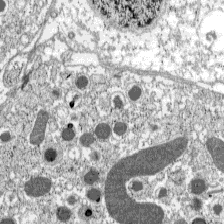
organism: C57BL Mouse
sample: Pancreatic islet